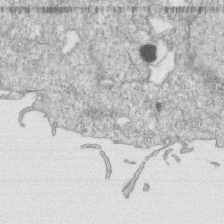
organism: Human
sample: HeLa cell HIV synapse